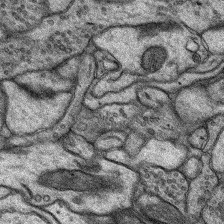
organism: Rat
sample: Hippocampus